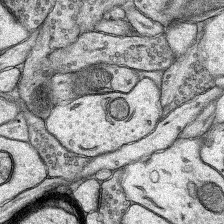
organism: Rat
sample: Hippocampus